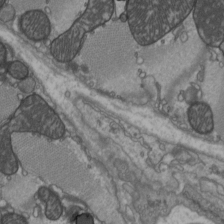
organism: C57BL Mouse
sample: Heart